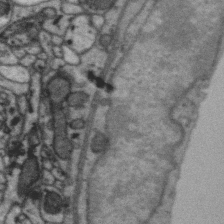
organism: Zebra finch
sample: Brain